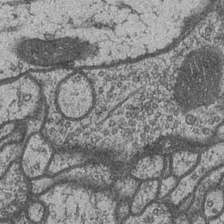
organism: Drosophila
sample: Optic medulla